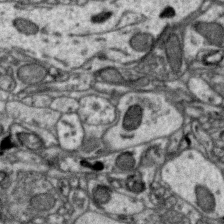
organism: Zebra finch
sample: Brain